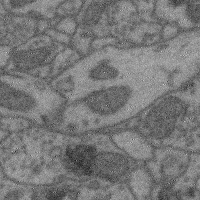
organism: Mouse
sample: Cerebral cortex